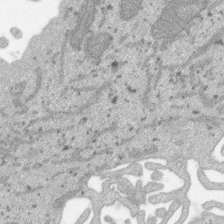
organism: Human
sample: Lung epithelial cells infected with SARS-CoV-2